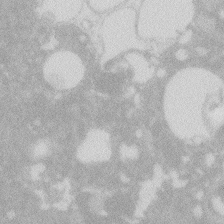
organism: Zebrafish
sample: Macrophage